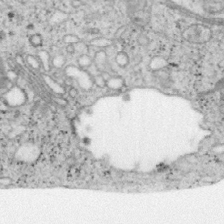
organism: Mouse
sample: OT-I killer T cells with ID8 ovarian cancer cells